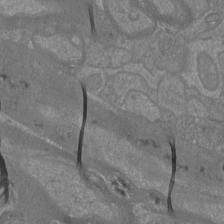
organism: Mouse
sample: Cortical neurons